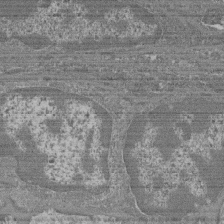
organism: Mouse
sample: Glomerulus